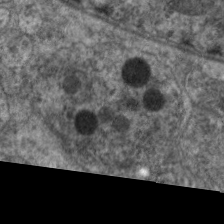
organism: C. elegans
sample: Pharynx